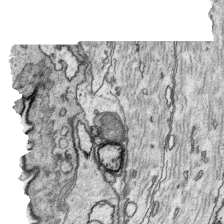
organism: Platynereis dumerilii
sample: Parapodia